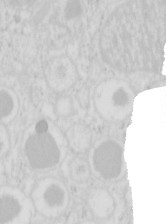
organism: Mouse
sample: Pancreas